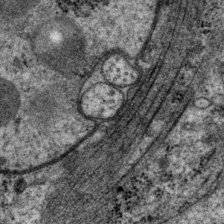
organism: P. pacificus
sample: Pharynx